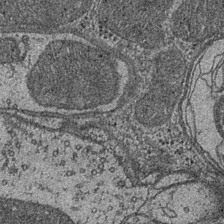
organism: Drosophila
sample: Optic medulla